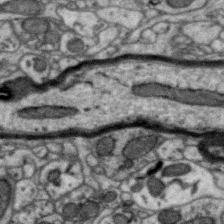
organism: Zebra finch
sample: Brain